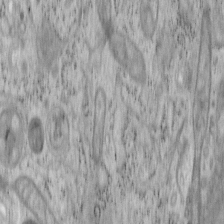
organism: Human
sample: HeLa cells